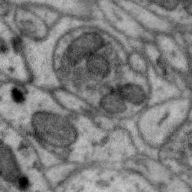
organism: Zebra finch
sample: Brain